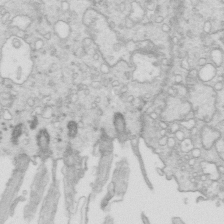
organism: Mouse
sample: Multiciliated cells